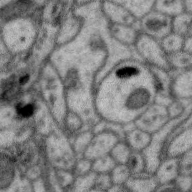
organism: Zebra finch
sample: Brain